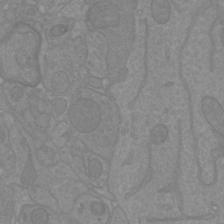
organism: Mouse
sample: Cortical neurons